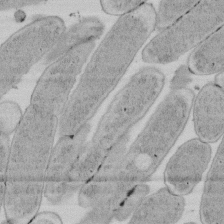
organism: E. coli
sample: Bacterial nucleoid